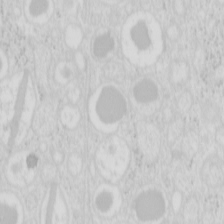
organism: Mouse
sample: Pancreas